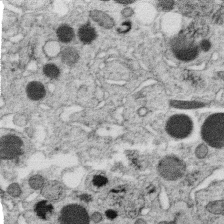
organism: C. elegans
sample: C. elegans oocyte; sperm cells